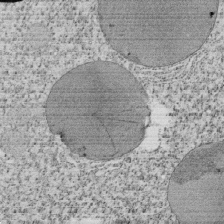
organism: Tetrahymena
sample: Cilia in tetrahymena